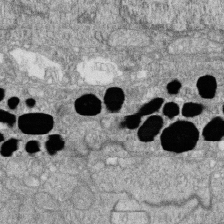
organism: Zebrafish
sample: Cilia; retinal pigment epithelium